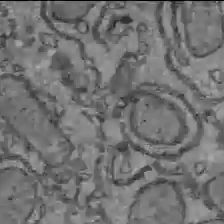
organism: C57BL Mouse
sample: Liver